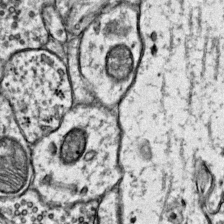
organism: Mouse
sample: Primary visual cortex